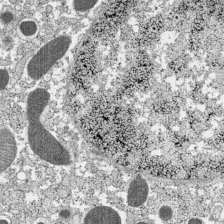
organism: C57BL Mouse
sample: Pancreatic islet